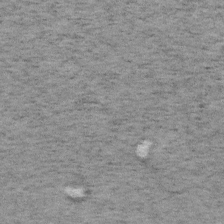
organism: Mouse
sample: OT-I killer T cells with ID8 ovarian cancer cells